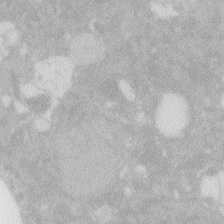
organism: Zebrafish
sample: Macrophage